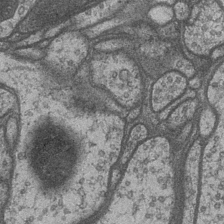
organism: Drosophila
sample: Optic medulla